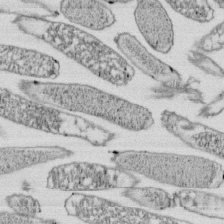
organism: E. coli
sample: Bacterial nucleoid